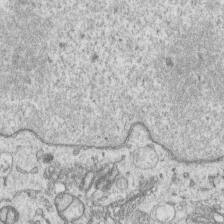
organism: Human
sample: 1205lu cells